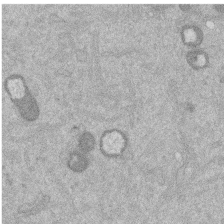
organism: Mouse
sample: Dividing mouse embryo 1 cell stage